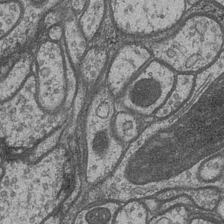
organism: Drosophila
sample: Optic medulla